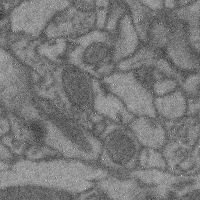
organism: Mouse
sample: Cerebral cortex